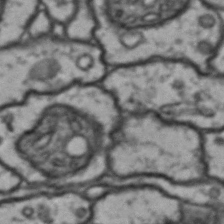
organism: Drosophila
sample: Brain